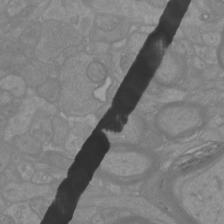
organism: Mouse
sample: Cortical neurons